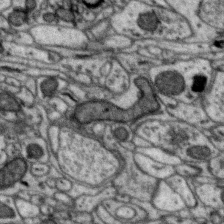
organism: Zebra finch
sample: Brain